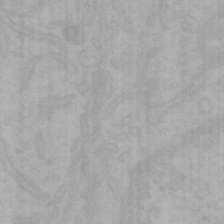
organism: Mouse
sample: Choroid plexus